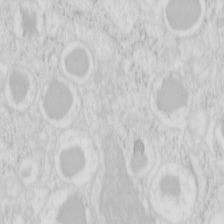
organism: Mouse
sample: Pancreas